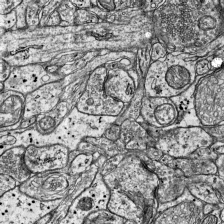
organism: Mouse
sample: Visual Cortex